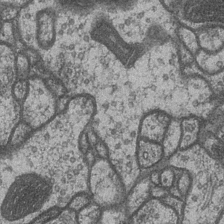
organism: Drosophila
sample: Optic medulla